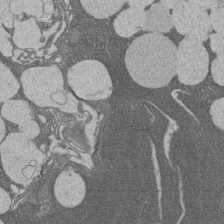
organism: Rat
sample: Salivary granule